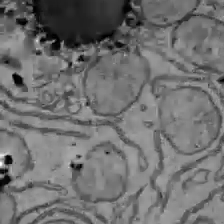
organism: C57BL Mouse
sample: Liver